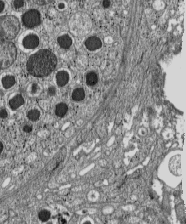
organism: C57BL Mouse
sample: Pancreatic islet